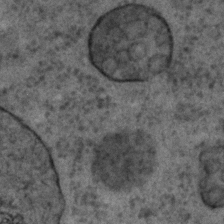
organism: C. elegans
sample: C. elegans embryo